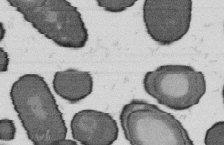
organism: B. subtilis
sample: Bacterial spore